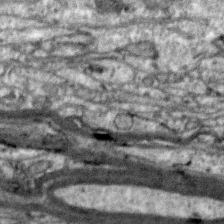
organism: Zebra finch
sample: Brain